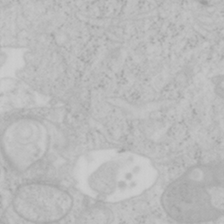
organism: Mouse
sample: OT-I killer T cells with ID8 ovarian cancer cells